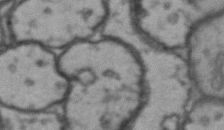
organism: Drosophila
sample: Brain